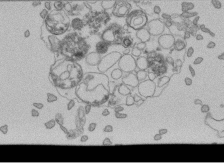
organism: Human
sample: Retinal organoid Rod and Cone cells